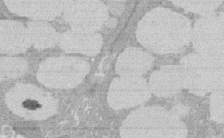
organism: Rat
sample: Salivary granule